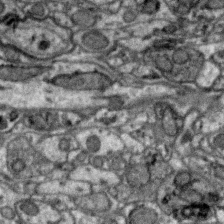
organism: Zebra finch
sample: Brain